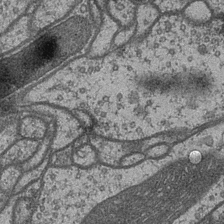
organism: Drosophila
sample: Optic medulla